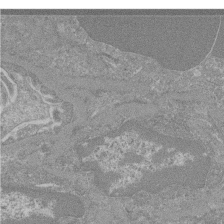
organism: Mouse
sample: Glomerulus